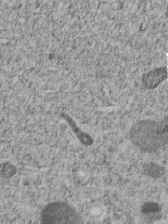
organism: C. elegans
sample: C. elegans embryo early stage